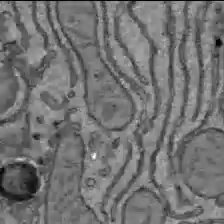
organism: C57BL Mouse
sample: Liver